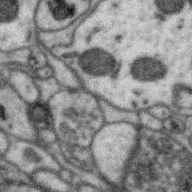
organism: Zebra finch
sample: Brain